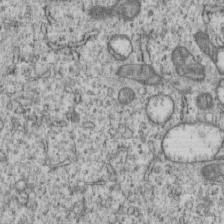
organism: Human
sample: MDA-MB-231 cells